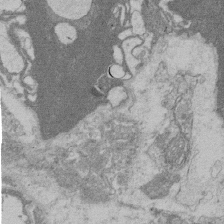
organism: Rat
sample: Salivary granule